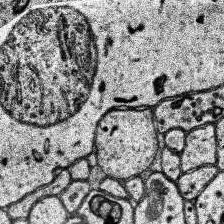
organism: Human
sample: Temporal Lobe